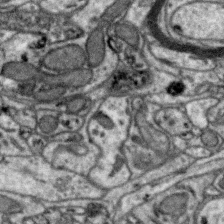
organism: Zebra finch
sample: Brain